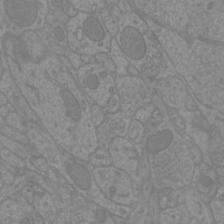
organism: Mouse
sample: Cortical neurons